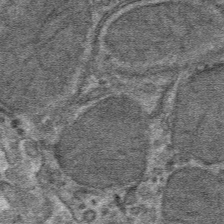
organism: Mouse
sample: Mouse hepatocytes